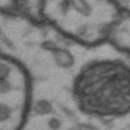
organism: Drosophila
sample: Brain